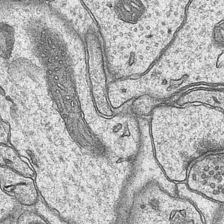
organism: Mouse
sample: CA1 Hippocampus